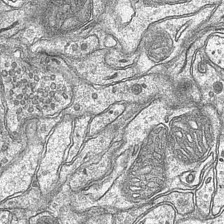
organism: Mouse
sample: CA1 Hippocampus